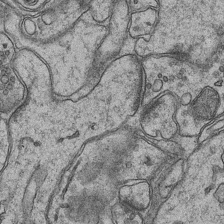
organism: Mouse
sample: CA1 Hippocampus